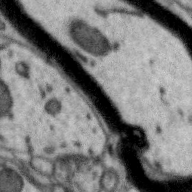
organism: Zebra finch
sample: Brain